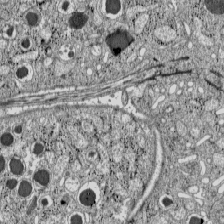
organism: C57BL Mouse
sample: Pancreatic islet